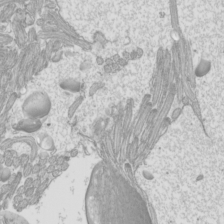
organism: Mouse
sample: Cilia; mouse epididymis